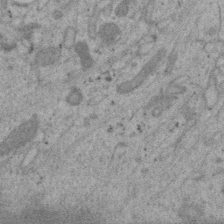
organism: Human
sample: HeLa cells